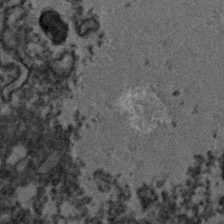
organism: Zebrafish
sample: Zebrafish embryo